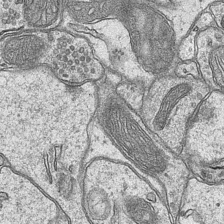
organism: Mouse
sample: CA1 Hippocampus